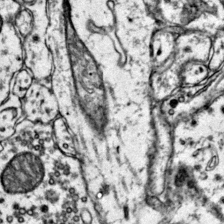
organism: Mouse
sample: Primary visual cortex